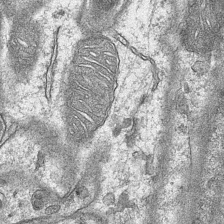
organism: Mouse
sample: CA1 Hippocampus